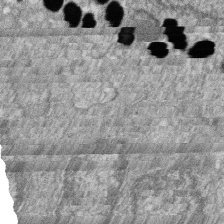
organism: Zebrafish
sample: Cilia; retinal pigment epithelium